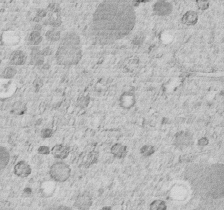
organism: C. elegans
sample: C. elegans embryo early stage